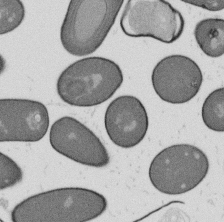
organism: B. subtilis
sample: Bacterial spore